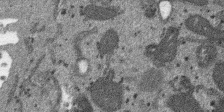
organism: Human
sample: Lung epithelial cells infected with SARS-CoV-2